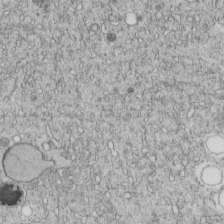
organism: C. elegans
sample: C. elegans embryo early stage